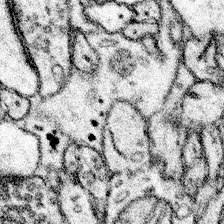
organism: Mouse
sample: Somatosensory cortex neuropil